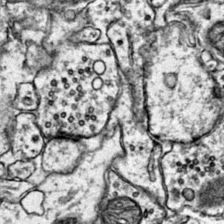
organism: Mouse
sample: Primary visual cortex